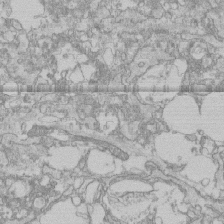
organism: Human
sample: CRL-1474